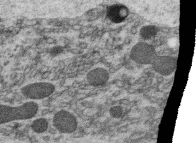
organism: C. elegans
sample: C. elegans oocyte; sperm cells